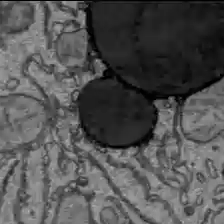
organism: C57BL Mouse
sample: Liver